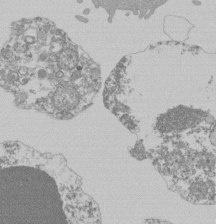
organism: Mouse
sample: Activated Pmel transgenic CD8+ T Cells